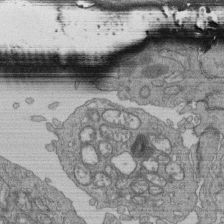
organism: Human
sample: Retinal organoid Rod and Cone cells